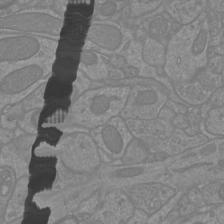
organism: Mouse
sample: Cortical neurons